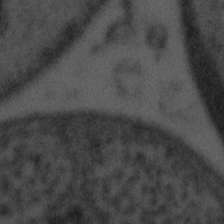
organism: Tuwongella immobilis